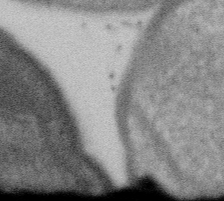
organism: Gemmata obscuriglobus